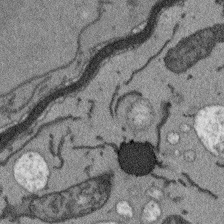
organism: Arabidopsis thaliana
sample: Root tip